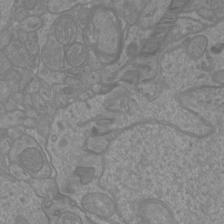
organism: Mouse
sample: Cortical neurons